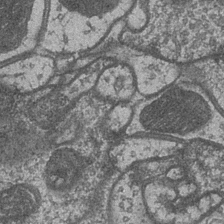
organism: Drosophila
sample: Optic medulla